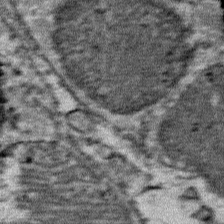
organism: Mouse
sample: Mouse Salivary gland